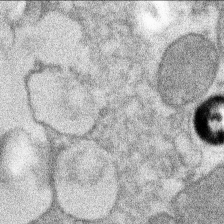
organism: Xenopus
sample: Cilia; centrioles in frog embryo cells